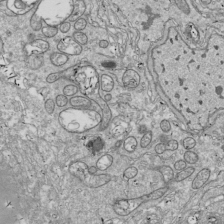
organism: Drosophila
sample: Cell division; meiosis; drosophila spermatocytes